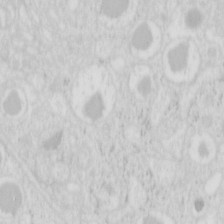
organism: Mouse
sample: Pancreas